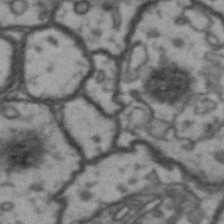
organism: Drosophila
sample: Brain